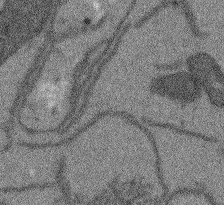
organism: Arabidopsis thaliana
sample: Root tip